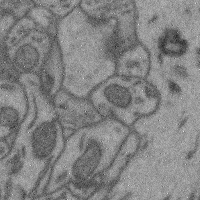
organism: Mouse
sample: Cerebral cortex